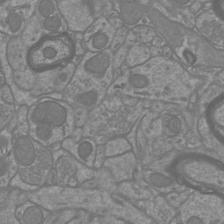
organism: Mouse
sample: Cortical neurons